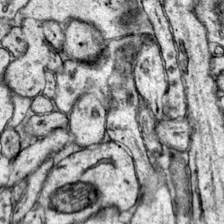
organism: Mouse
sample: Primary visual cortex